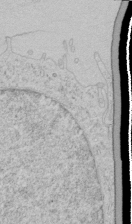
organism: Human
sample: Mitochondria in HCT116 cells